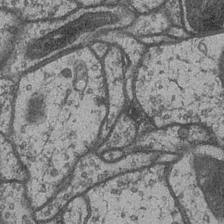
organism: Drosophila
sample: Optic medulla